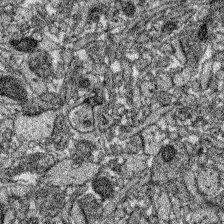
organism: Zebrafish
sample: Larval olfactory bulb